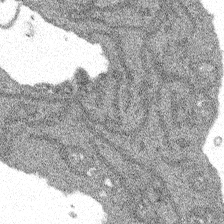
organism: Spongilla lacustris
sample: Multiple